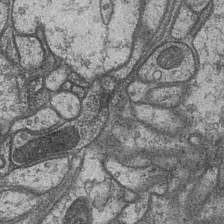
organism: Drosophila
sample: Optic medulla